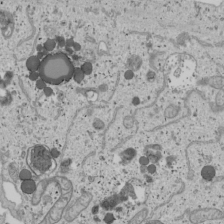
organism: Human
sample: Mitochondria in U2OS cells